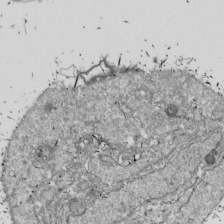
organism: Drosophila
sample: Cell division; meiosis; drosophila spermatocytes